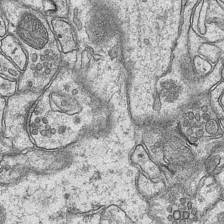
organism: Mouse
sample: CA1 Hippocampus